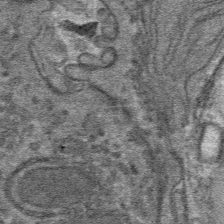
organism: Mouse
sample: Mouse hepatocytes